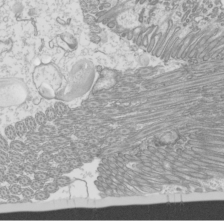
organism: Mouse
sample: Cilia; mouse epididymis